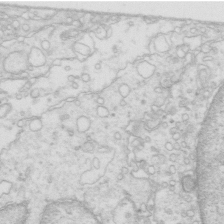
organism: Mouse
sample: Multiciliated cells